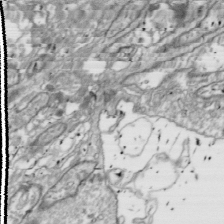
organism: Drosophila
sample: Cell division; meiosis; drosophila spermatocytes